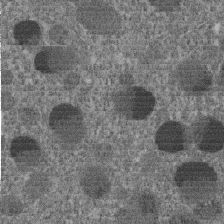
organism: C. elegans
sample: C. elegans embryo early stage